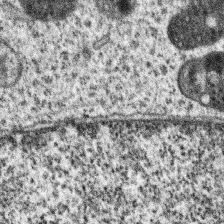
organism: Human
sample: HeLa cells